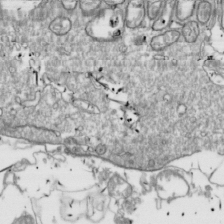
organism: Drosophila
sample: Cell division; meiosis; drosophila spermatocytes